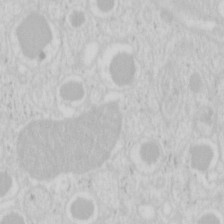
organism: Mouse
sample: Pancreas